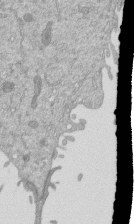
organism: Mouse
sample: ED-1 cell nuclei; centrioles